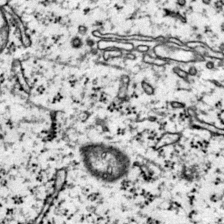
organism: Mouse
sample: Primary visual cortex